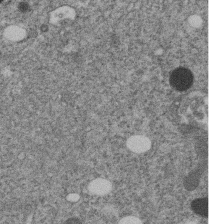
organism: C. elegans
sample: C. elegans embryo early stage